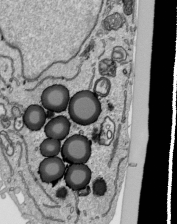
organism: Human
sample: Mitochondria in HCT116 cells